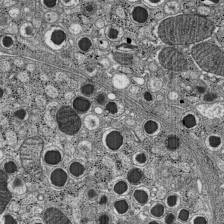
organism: C57BL Mouse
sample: Pancreatic islet